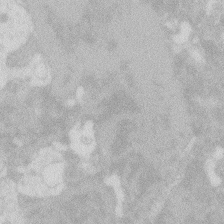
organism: Zebrafish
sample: Macrophage